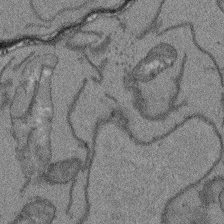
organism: Arabidopsis thaliana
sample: Root tip